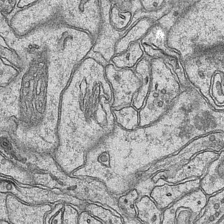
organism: Mouse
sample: CA1 Hippocampus